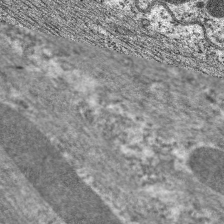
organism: C. elegans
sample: Pharynx